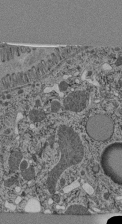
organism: C. elegans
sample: C. elegans pharynx